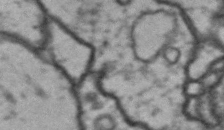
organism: Drosophila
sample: Brain